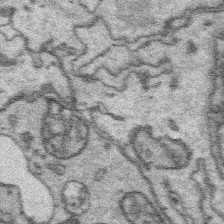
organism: Platynereis dumerilii